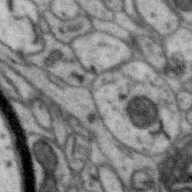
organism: Zebra finch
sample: Brain